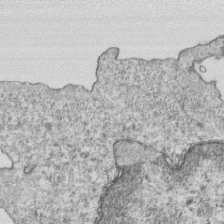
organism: Mouse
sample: Activated OT-1 CD8+ T cells